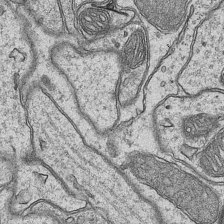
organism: Mouse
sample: CA1 Hippocampus